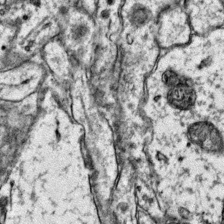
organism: Mouse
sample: Primary visual cortex